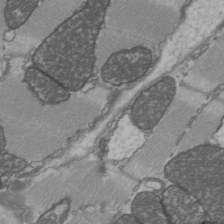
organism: C57BL Mouse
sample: Heart